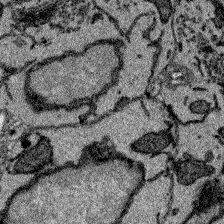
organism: Zebrafish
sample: Larval olfactory bulb